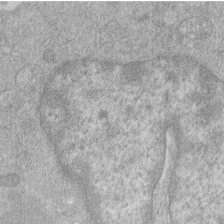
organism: Human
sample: Macrophage cells